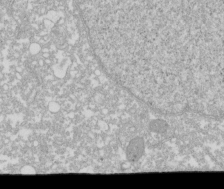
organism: Xenopus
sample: Cilia; centrioles in frog embryo cells